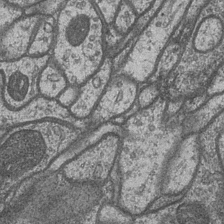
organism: Drosophila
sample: Optic medulla